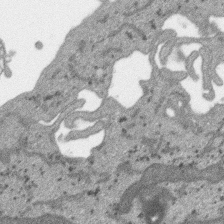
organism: Human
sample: Lung epithelial cells infected with SARS-CoV-2